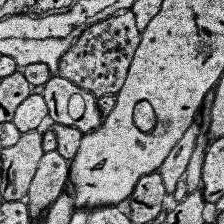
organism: Human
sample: Temporal Lobe